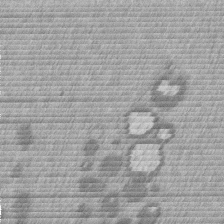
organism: Mouse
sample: Dividing mouse embryo 1 cell stage